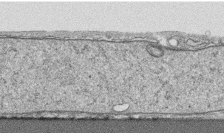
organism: Human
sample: CRL-1474